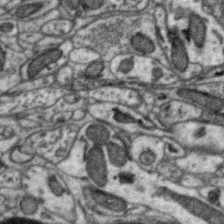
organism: Zebra finch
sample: Brain